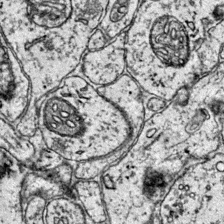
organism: Mouse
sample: Primary visual cortex